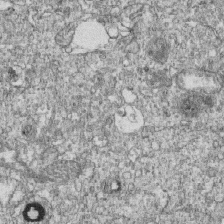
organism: Human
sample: HeLa cell HIV synapse